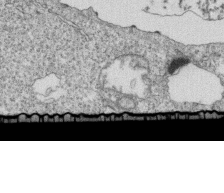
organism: Human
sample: HeLa cell HIV synapse